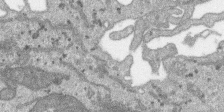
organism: Human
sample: Lung epithelial cells infected with SARS-CoV-2